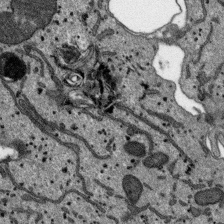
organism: Human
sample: Lung epithelial cells, uninfected (mock) control